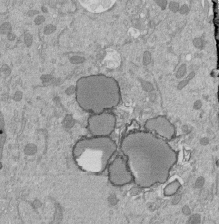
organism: Mouse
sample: ED-1 cell nuclei; centrioles